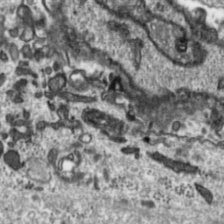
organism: Toxoplasma gondii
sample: Parasites in a vacuole inside a host cell